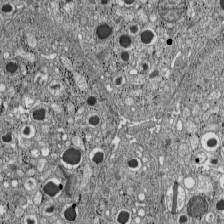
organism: C57BL Mouse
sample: Pancreatic islet